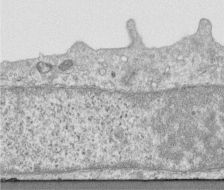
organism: Human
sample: Centriole in RPE cells